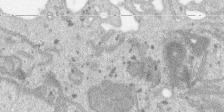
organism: Human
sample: Lung epithelial cells infected with SARS-CoV-2